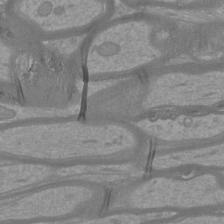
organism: Mouse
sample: Cortical neurons